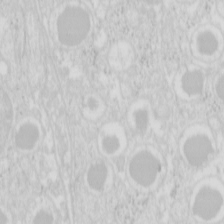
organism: Mouse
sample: Pancreas